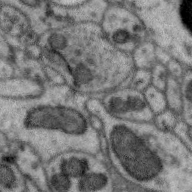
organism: Zebra finch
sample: Brain